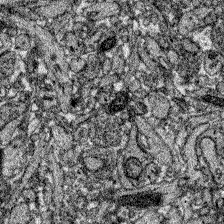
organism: Zebrafish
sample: Larval olfactory bulb